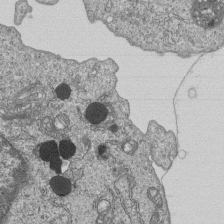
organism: Human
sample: MDA-MB-231 cells